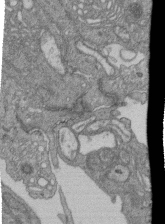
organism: Human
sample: Retinal organoid Rod and Cone cells